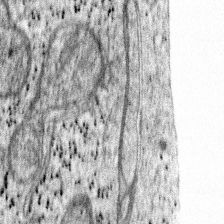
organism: Human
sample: HeLa cells